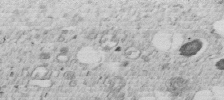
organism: C. elegans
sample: C. elegans embryo early stage